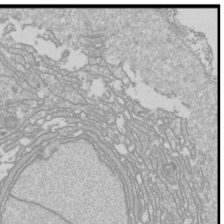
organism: Drosophila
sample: Cell division; meiosis; drosophila spermatocytes